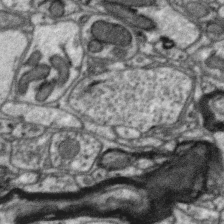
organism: Zebra finch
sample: Brain